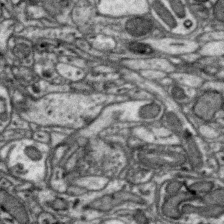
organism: Zebra finch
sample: Brain